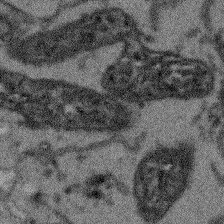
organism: Arabidopsis thaliana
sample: Root tip